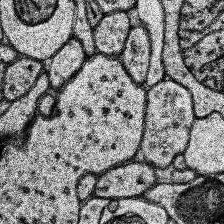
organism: Human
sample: Temporal Lobe